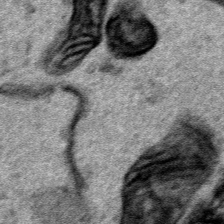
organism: Human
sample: Mitochondria in HCT116 cells